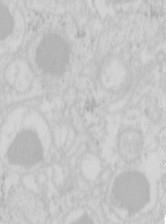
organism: Mouse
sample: Pancreas